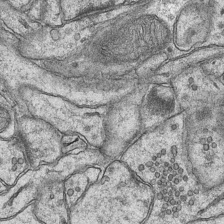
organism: Mouse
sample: CA1 Hippocampus